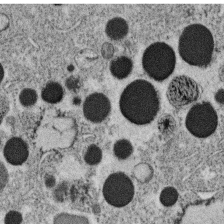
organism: C. elegans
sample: C. elegans oocyte; sperm cells